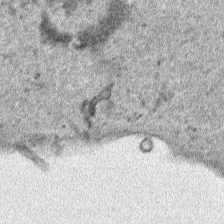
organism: Human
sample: Mitochondria in HCT116 cells